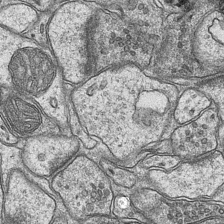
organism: Mouse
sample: CA1 Hippocampus